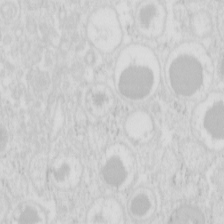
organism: Mouse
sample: Pancreas